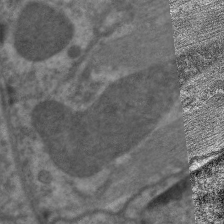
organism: C. elegans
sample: Pharynx